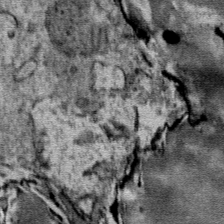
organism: Mouse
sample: Mouse Salivary gland